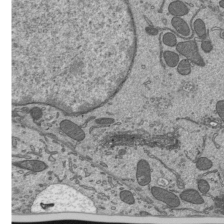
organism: Mouse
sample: Mouse epididymis efferent ductule cilia